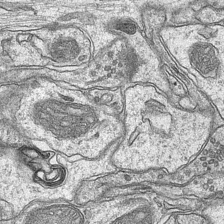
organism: Mouse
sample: CA1 Hippocampus